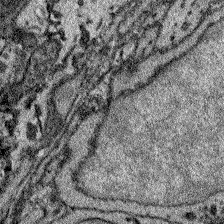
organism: Zebrafish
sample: Larval olfactory bulb